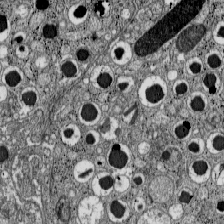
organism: C57BL Mouse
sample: Pancreatic islet